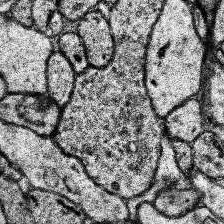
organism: Human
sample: Temporal Lobe